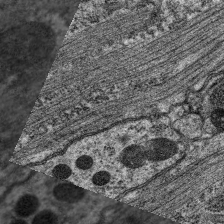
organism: C. elegans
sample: Pharynx